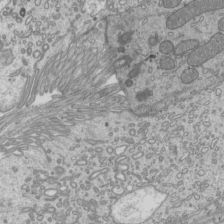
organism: Mouse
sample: Cilia; mouse epididymis